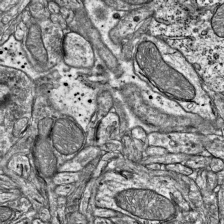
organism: Mouse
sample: Visual Cortex